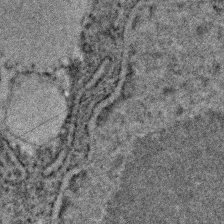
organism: C. elegans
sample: C. elegans embryo